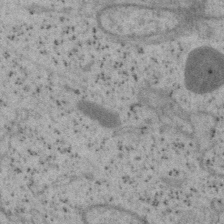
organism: Human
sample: HeLa cells